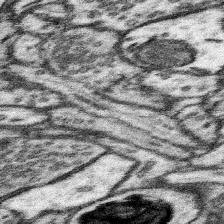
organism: Mouse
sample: Somatosensory cortex neuropil